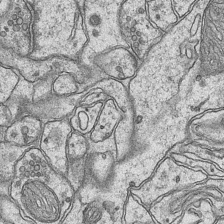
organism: Mouse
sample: CA1 Hippocampus